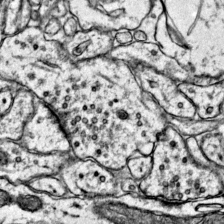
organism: Mouse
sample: Primary visual cortex